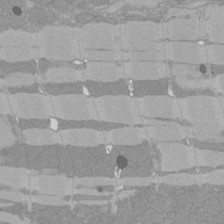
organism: Rat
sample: Left ventricle